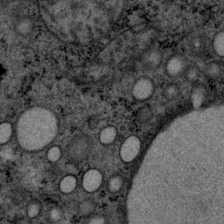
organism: P. pacificus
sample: Pharynx